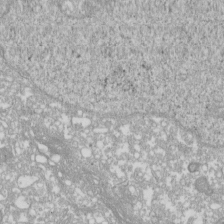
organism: Xenopus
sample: Cilia; centrioles in frog embryo cells